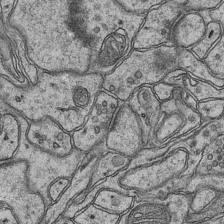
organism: Mouse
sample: CA1 Hippocampus